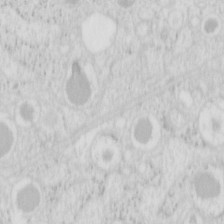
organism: Mouse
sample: Pancreas